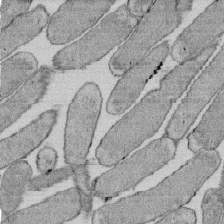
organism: E. coli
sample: Bacterial nucleoid